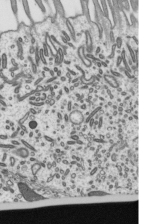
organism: Mouse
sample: Mouse epididymis efferent ductule cilia